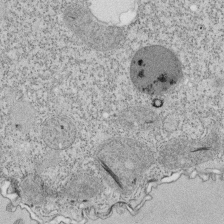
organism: Tetrahymena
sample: Cilia in tetrahymena